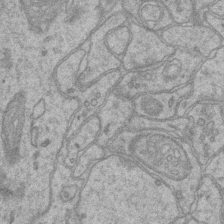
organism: Mouse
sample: CA1 Hippocampus